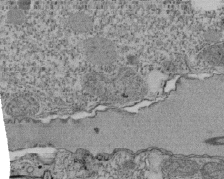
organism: Tetrahymena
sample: Cilia in tetrahymena